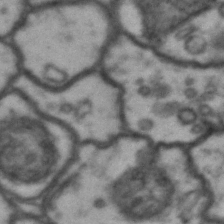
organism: Drosophila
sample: Brain